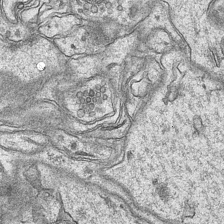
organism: Mouse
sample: CA1 Hippocampus